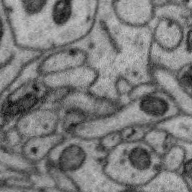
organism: Zebra finch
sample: Brain